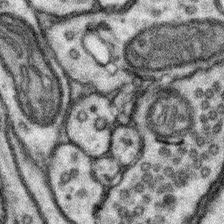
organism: Mouse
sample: Somatosensory cortex neuropil